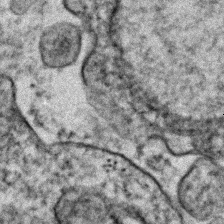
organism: Human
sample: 1205lu cells